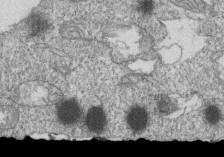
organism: Human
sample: HeLa cell HIV synapse